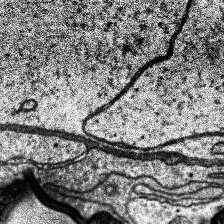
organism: Human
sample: Temporal Lobe